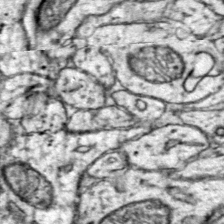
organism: Mouse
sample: Primary visual cortex